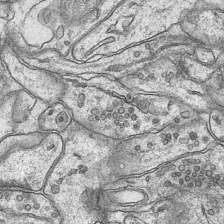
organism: Mouse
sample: CA1 Hippocampus